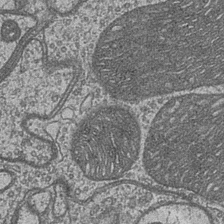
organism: Drosophila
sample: Optic medulla